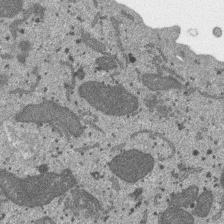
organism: Human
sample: Lung epithelial cells infected with SARS-CoV-2